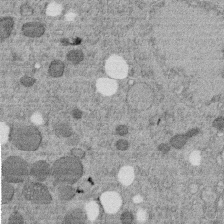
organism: C. elegans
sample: C. elegans embryo early stage